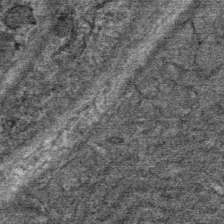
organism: Mouse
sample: Mouse Salivary gland